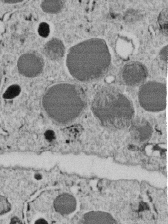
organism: C. elegans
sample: C. elegans embryo early stage